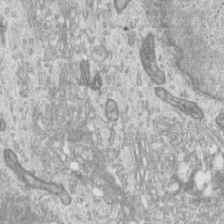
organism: Human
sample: Centriole in RPE cells